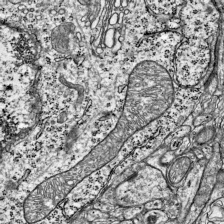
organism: Mouse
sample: Visual Cortex